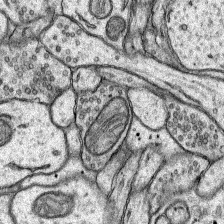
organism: Rat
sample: Hippocampus